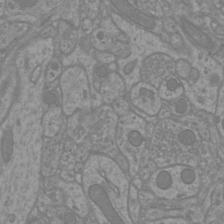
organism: Mouse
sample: Cortical neurons